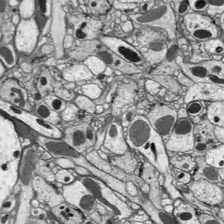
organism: Drosophila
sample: Optic lobe